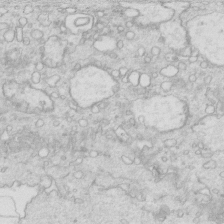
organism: Mouse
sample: Multiciliated cells